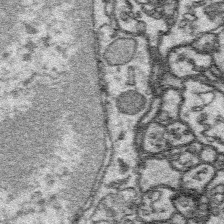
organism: Platynereis dumerilii